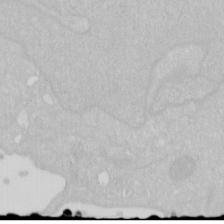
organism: Human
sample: HIV infected U937 cells